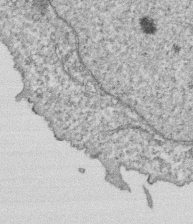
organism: Human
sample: HeLa cell HIV synapse